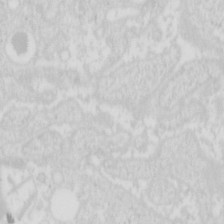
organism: Mouse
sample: Pancreas